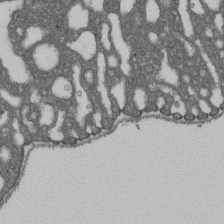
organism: Drosophila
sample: Nephrocyte